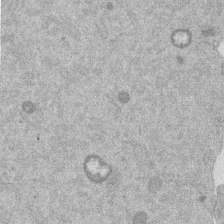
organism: Mouse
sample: Dividing mouse embryo 1 cell stage